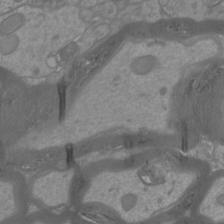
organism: Mouse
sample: Cortical neurons